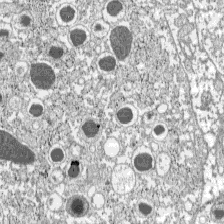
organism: C57BL Mouse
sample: Pancreatic islet